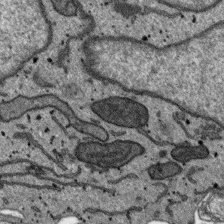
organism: Human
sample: Lung epithelial cells, uninfected (mock) control